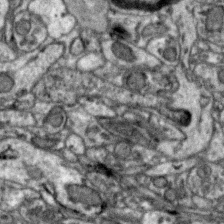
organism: Zebra finch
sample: Brain